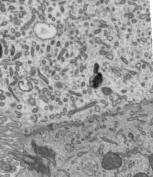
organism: Mouse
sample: Mouse epididymis efferent ductule cilia